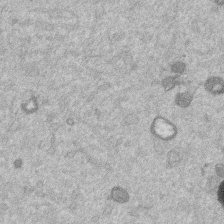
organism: Mouse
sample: Dividing mouse embryo 1 cell stage